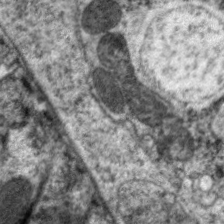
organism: C. elegans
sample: Pharynx